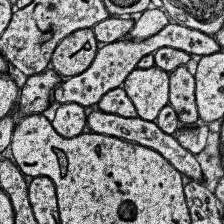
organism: Human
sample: Temporal Lobe